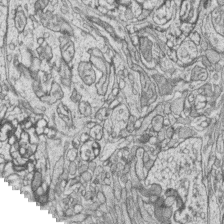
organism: Zebrafish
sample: synaptic ribbons in rod cells and cone cells